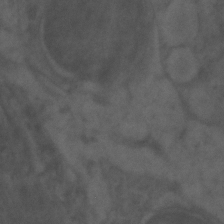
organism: Zebrafish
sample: Zebrafish embryo